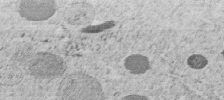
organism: C. elegans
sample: C. elegans embryo early stage